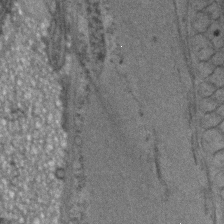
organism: C. elegans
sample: C. elegans embryo